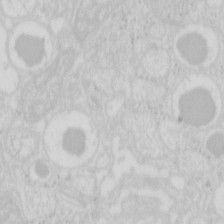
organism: Mouse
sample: Pancreas